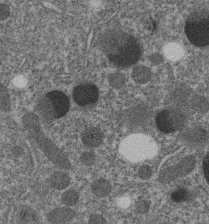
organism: C. elegans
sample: C. elegans embryo early stage